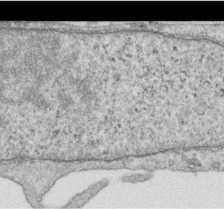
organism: Human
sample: Centriole in RPE cells